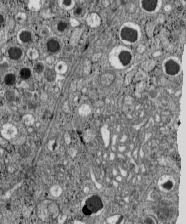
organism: C57BL Mouse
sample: Pancreatic islet